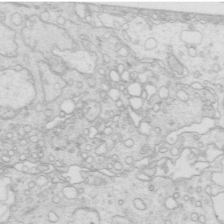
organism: Mouse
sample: Multiciliated cells